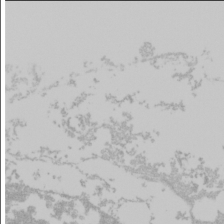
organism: Mouse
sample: Cancer cell death in ED-1 cells